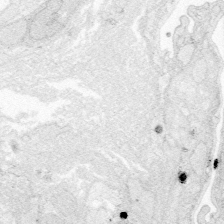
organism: Zebrafish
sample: Whole-Brain